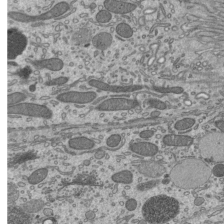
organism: Mouse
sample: Mouse epididymis efferent ductule cilia